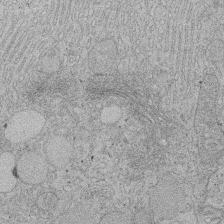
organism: Rat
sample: Salivary granule